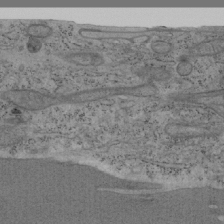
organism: Human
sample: HeLa cells